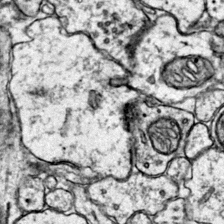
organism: Mouse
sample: Primary visual cortex